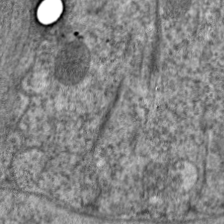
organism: C. elegans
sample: Pharynx